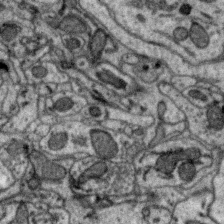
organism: Zebra finch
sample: Brain